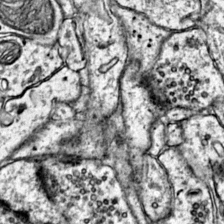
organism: Mouse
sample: Primary visual cortex